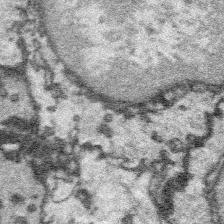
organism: Platynereis dumerilii